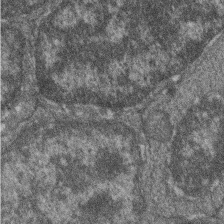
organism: Zebrafish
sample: Cilia; retinal pigment epithelium